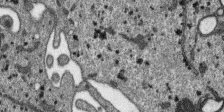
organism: Human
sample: Lung epithelial cells infected with SARS-CoV-2